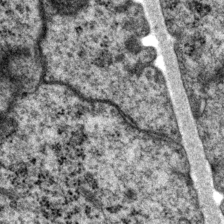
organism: P. pacificus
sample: Pharynx